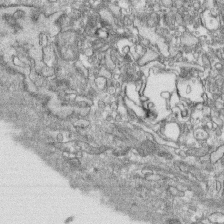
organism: Human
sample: CRL-1474